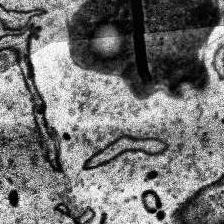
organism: Human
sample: Temporal Lobe